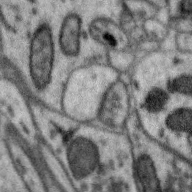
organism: Zebra finch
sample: Brain